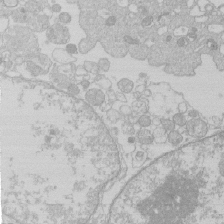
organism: Human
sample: Macrophage cells